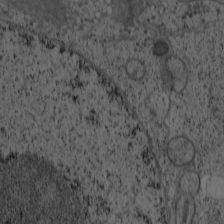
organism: African green monkey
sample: COS-7 cells